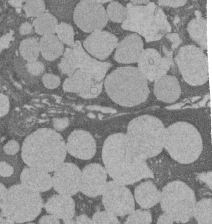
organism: Rat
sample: Salivary granule